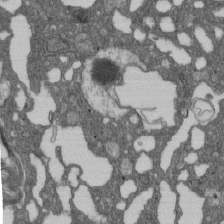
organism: Drosophila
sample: Nephrocyte